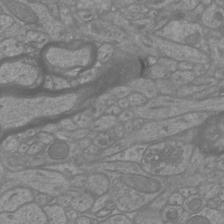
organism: Mouse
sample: Cortical neurons